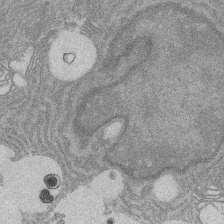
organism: Rat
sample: Salivary granule